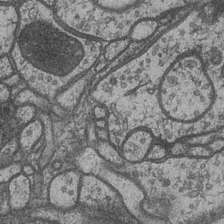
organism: Drosophila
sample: Optic medulla